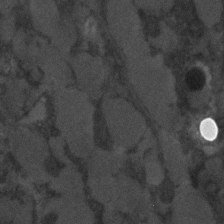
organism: C. elegans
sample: C. elegans embryo